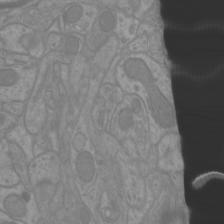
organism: Mouse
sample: Cortical neurons